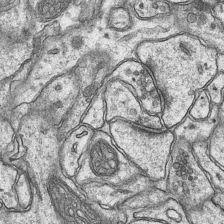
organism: Mouse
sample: CA1 Hippocampus